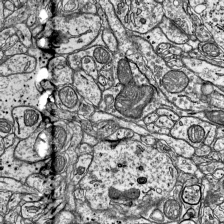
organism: Mouse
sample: Visual Cortex